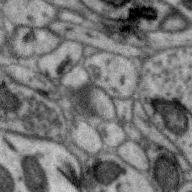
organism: Zebra finch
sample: Brain